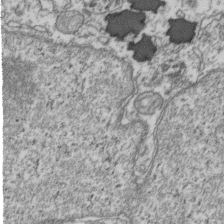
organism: Human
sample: Activated Jurkat CD4+ T cells